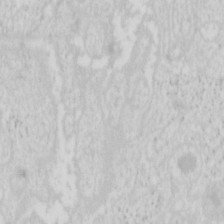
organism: Mouse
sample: Pancreas